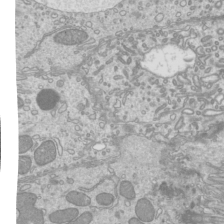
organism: Mouse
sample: Cilia; mouse epididymis